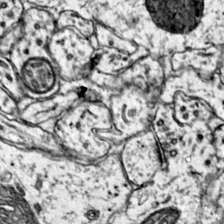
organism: Mouse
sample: Primary visual cortex